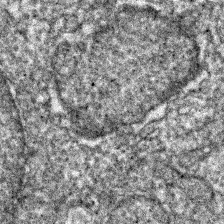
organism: Zebrafish